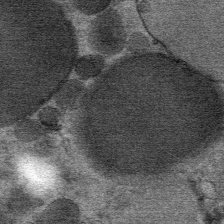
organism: Mouse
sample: Mouse Salivary gland